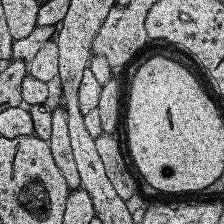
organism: Human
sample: Temporal Lobe